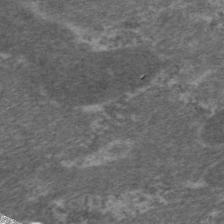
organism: C. elegans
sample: Pharynx